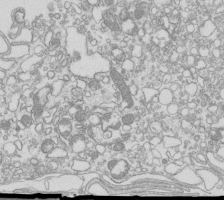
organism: Mouse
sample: Macrophages